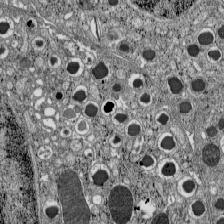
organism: C57BL Mouse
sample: Pancreatic islet